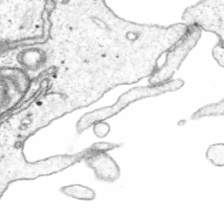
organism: Human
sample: HeLa cells